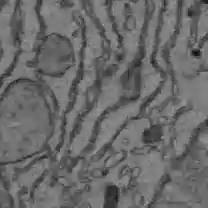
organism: C57BL Mouse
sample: Liver